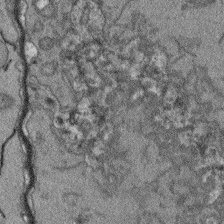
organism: Arabidopsis thaliana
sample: Root tip